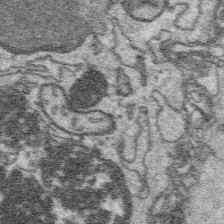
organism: Platynereis dumerilii